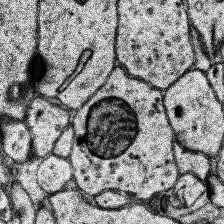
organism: Human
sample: Temporal Lobe